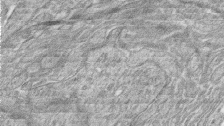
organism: Zebrafish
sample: synaptic ribbons in rod cells and cone cells